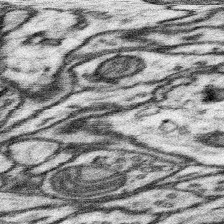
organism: Mouse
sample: Somatosensory cortex neuropil